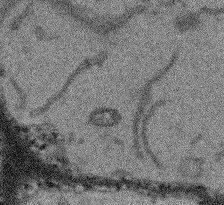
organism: Arabidopsis thaliana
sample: Root tip